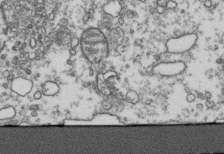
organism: Human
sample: Activated Jurkat CD4+ T cells